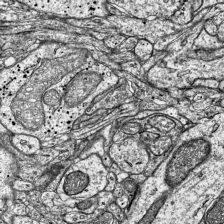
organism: Mouse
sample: Visual Cortex